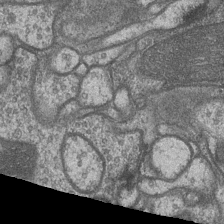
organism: Drosophila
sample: Optic medulla